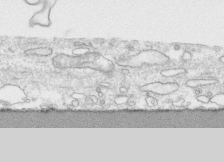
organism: Human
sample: CRL-1474